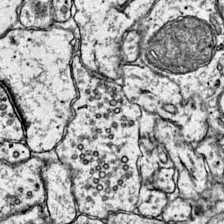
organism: Mouse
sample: Primary visual cortex